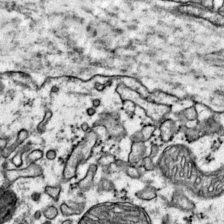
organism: Mouse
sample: Primary visual cortex